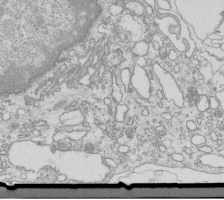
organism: Mouse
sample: Macrophages